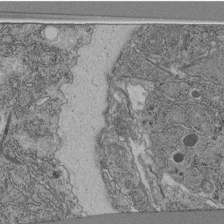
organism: C. elegans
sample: C. elegans pharynx